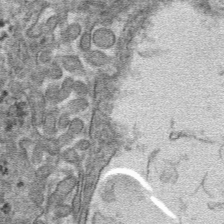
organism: Mouse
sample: Mouse hepatocytes